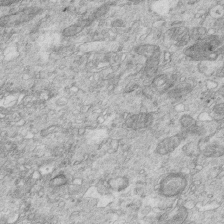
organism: Mouse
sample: Multiciliated cells